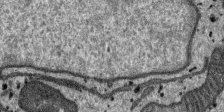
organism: Human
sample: Lung epithelial cells, uninfected (mock) control